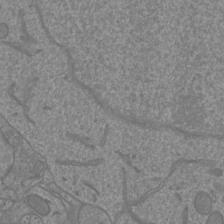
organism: Mouse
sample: Cortical neurons